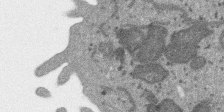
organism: Human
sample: Lung epithelial cells infected with SARS-CoV-2